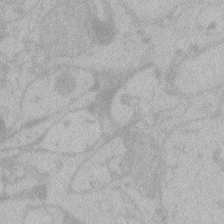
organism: Zebrafish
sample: Macrophage infected with Toxoplasma gondii